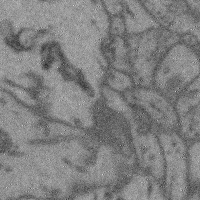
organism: Mouse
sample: Cerebral cortex